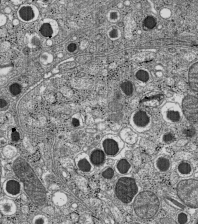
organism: C57BL Mouse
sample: Pancreatic islet